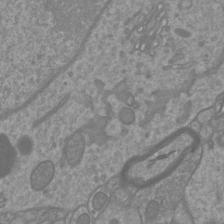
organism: Mouse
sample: Cortical neurons